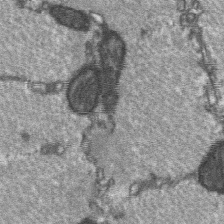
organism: C57BL Mouse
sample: Soleus